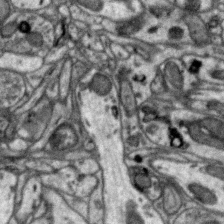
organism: Zebra finch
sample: Brain